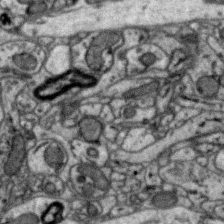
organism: Zebra finch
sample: Brain